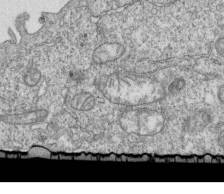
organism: Human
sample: HeLa cell HIV synapse